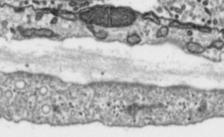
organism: Toxoplasma gondii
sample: Parasites in a vacuole inside a host cell